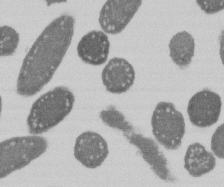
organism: E. coli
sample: Bacterial nucleoid